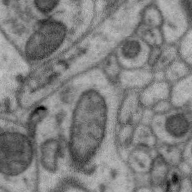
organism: Zebra finch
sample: Brain